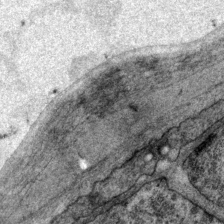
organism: P. pacificus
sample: Pharynx